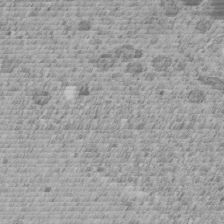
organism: C. elegans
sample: C. elegans embryo early stage